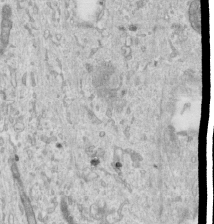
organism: Human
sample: Centriole in RPE cells